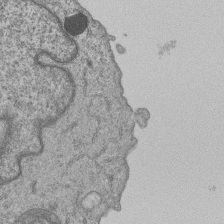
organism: Human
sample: MDA-MB-231 cells